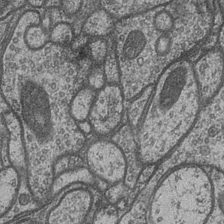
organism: Drosophila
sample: Optic medulla